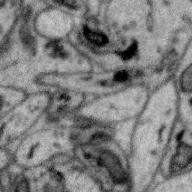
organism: Zebra finch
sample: Brain